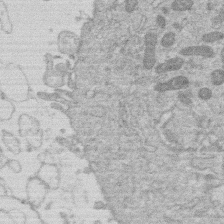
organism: Human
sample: Macrophage cells